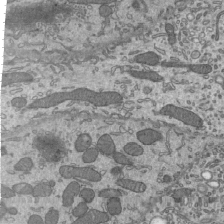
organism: Mouse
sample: Mouse epididymis efferent ductule cilia